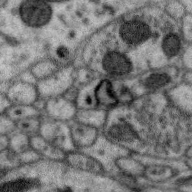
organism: Zebra finch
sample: Brain